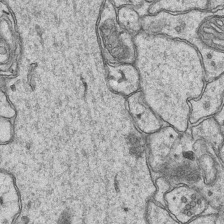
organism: Mouse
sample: CA1 Hippocampus